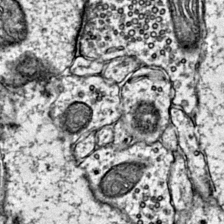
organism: Mouse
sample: Primary visual cortex